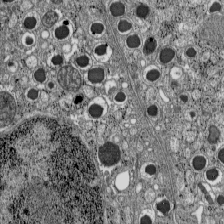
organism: C57BL Mouse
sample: Pancreatic islet